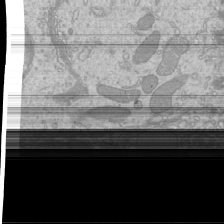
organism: Mouse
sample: Cilia; mouse epididymis